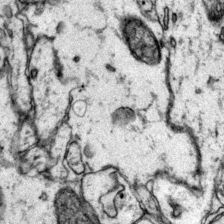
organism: Mouse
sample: Primary visual cortex